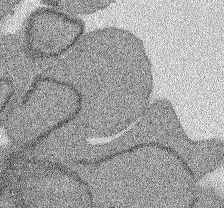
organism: Human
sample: HeLa cells